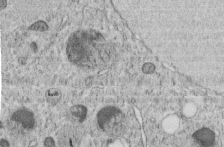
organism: C. elegans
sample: C. elegans embryo early stage